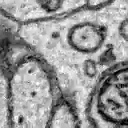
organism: Zebrafish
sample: Brain